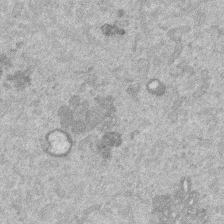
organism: Mouse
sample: Dividing mouse embryo 1 cell stage